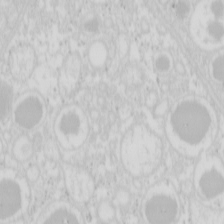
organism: Mouse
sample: Pancreas